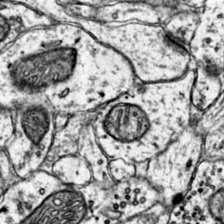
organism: Mouse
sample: Primary visual cortex